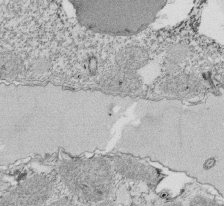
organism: Tetrahymena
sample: Cilia in tetrahymena